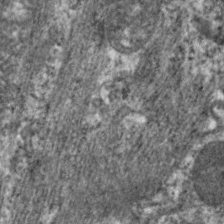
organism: C. elegans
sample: Pharynx